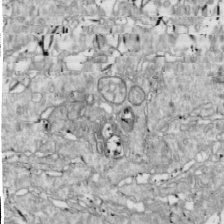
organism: Drosophila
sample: Cell division; meiosis; drosophila spermatocytes